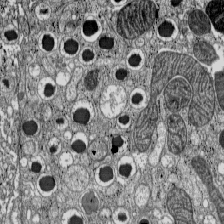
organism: C57BL Mouse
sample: Pancreatic islet